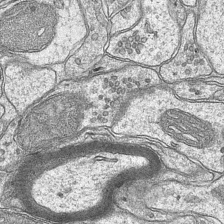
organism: Mouse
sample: CA1 Hippocampus